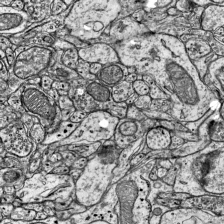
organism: Mouse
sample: Visual Cortex